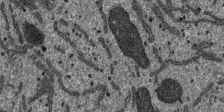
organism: Human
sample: Lung epithelial cells infected with SARS-CoV-2